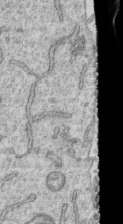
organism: Human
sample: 1205lu cells